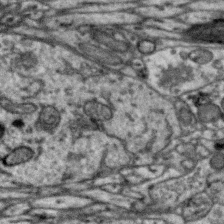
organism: Zebra finch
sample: Brain